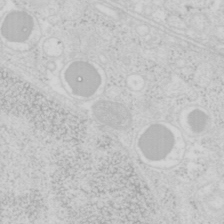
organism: Mouse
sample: Pancreas